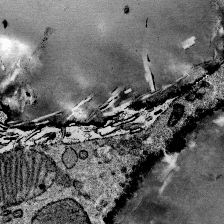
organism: Mouse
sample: Mouse Salivary gland